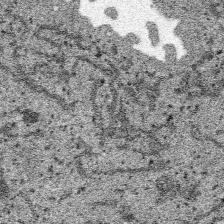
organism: Human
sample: Lung epithelial cells infected with SARS-CoV-2